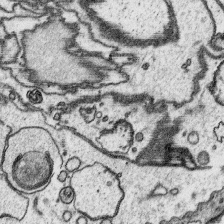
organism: Platynereis dumerilii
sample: Parapodia